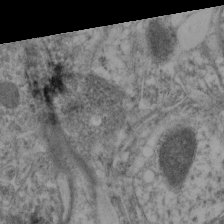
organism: Mouse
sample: Neocortex